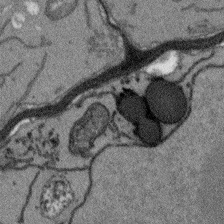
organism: Arabidopsis thaliana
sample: Root tip